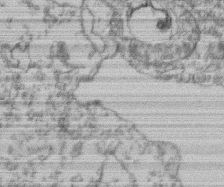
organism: Mouse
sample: T cell stromal cell synapse